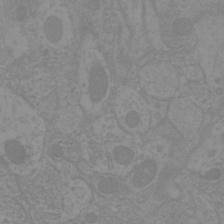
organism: Mouse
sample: Cortical neurons